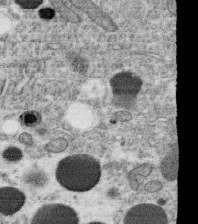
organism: C. elegans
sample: C. elegans oocyte; sperm cells